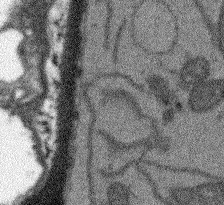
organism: Arabidopsis thaliana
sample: Root tip